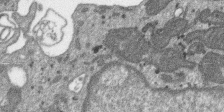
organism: Human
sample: Lung epithelial cells infected with SARS-CoV-2